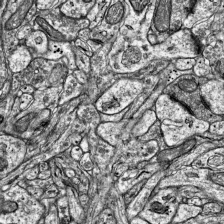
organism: Mouse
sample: Visual Cortex